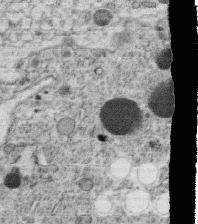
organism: C. elegans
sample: C. elegans oocyte; sperm cells